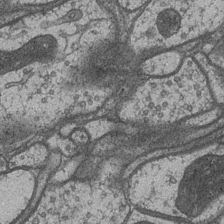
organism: Drosophila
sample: Optic medulla